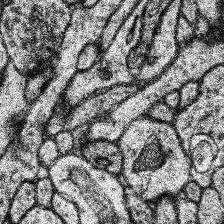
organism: Human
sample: Temporal Lobe